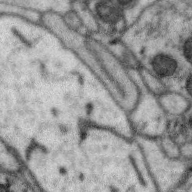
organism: Zebra finch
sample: Brain